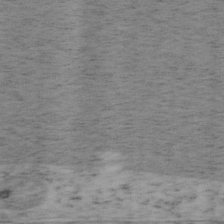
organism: Mouse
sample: OT-I killer T cells with ID8 ovarian cancer cells